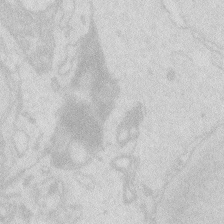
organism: Zebrafish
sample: Macrophage